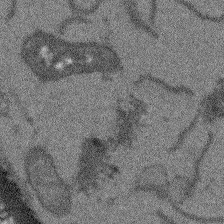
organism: Arabidopsis thaliana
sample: Root tip